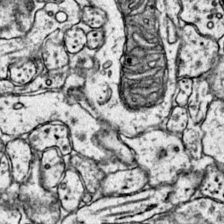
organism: Mouse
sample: Primary visual cortex